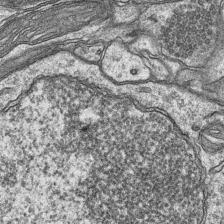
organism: Mouse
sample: CA1 Hippocampus